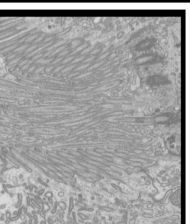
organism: Mouse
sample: Cilia; mouse epididymis